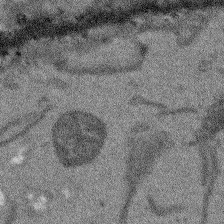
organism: Arabidopsis thaliana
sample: Root tip